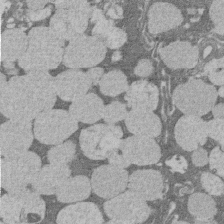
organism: Rat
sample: Salivary granule